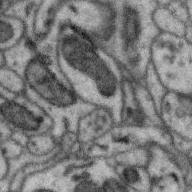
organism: Zebra finch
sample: Brain